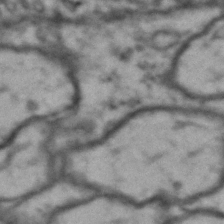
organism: Drosophila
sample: Brain